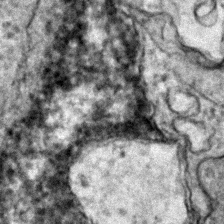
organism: Zebrafish